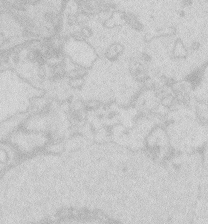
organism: Zebrafish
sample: Macrophage